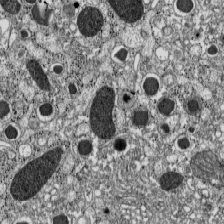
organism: C57BL Mouse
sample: Pancreatic islet